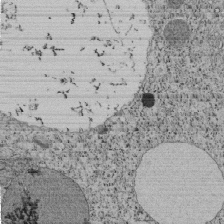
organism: Tetrahymena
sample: Cilia in tetrahymena